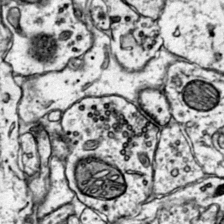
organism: Mouse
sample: Primary visual cortex